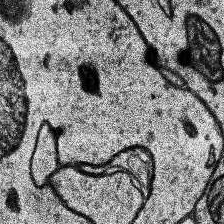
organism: Human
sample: Temporal Lobe